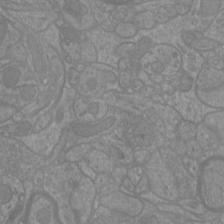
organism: Mouse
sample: Cortical neurons